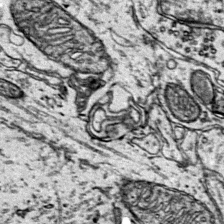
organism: Mouse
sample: Primary visual cortex